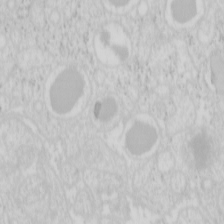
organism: Mouse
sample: Pancreas